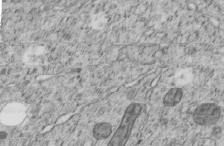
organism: C. elegans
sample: C. elegans embryo early stage